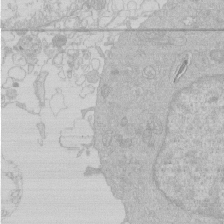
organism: Human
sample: Macrophage cells